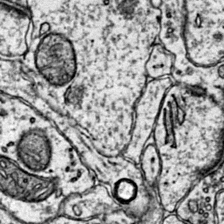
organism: Mouse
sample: Primary visual cortex